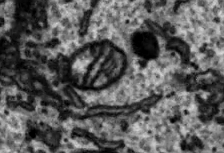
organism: Human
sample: HeLa cells